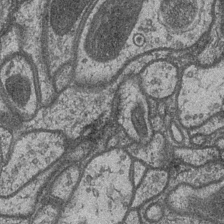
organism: Drosophila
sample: Optic medulla